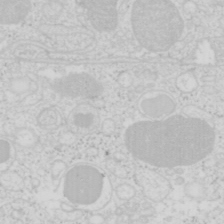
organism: Mouse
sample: Pancreas